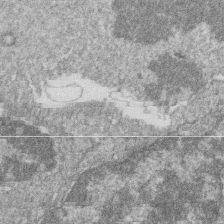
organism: Zebrafish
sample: Cilia; retinal pigment epithelium